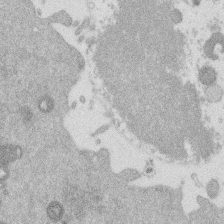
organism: Mouse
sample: Dividing mouse embryo 1 cell stage